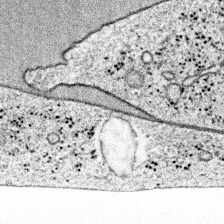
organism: Human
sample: HeLa cells